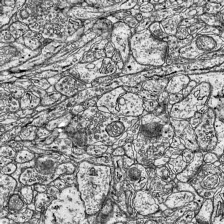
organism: Mouse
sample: Visual Cortex